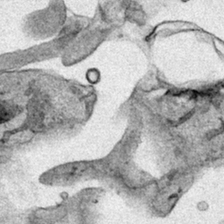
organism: Human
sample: Mitochondria in HCT116 cells